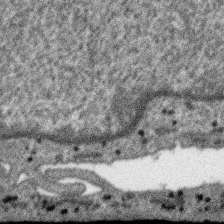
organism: Human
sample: Lung epithelial cells infected with SARS-CoV-2